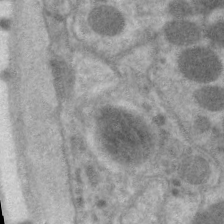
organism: C. elegans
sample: Pharynx